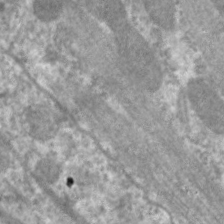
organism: C. elegans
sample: Pharynx